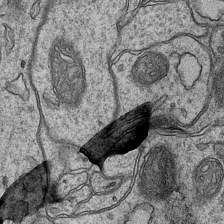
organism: Mouse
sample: CA1 Hippocampus